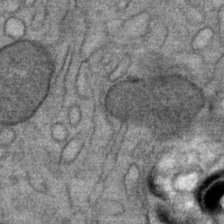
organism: Mouse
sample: Mouse Salivary gland